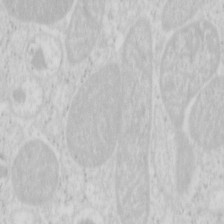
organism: Mouse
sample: Pancreas